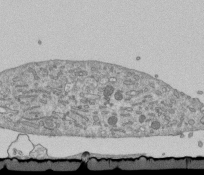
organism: Mouse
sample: ED-1 cell nuclei; centrioles